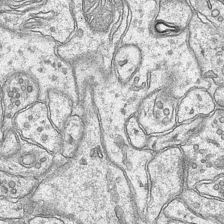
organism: Mouse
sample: CA1 Hippocampus